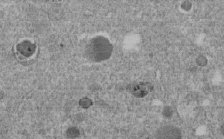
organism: C. elegans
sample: C. elegans embryo early stage